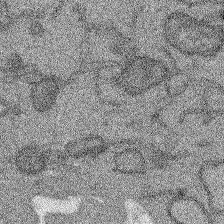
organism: Human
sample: HeLa cells